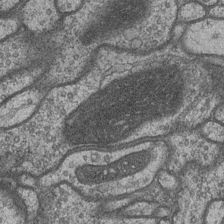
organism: Drosophila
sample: Optic medulla